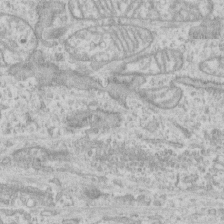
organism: Human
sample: CRL-1474